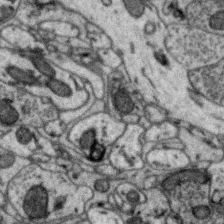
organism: Zebra finch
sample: Brain